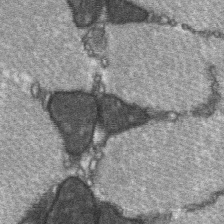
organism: C57BL Mouse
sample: Soleus